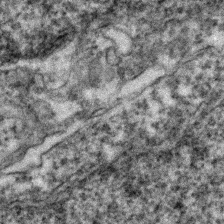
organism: Zebrafish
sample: Zebrafish embryo